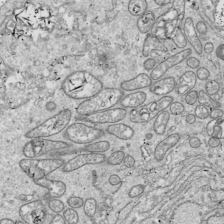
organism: Drosophila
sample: Cell division; meiosis; drosophila spermatocytes